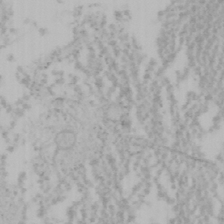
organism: Mouse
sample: OT-I killer T cells with ID8 ovarian cancer cells